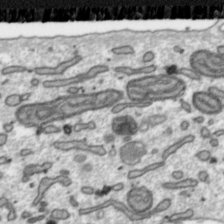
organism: Toxoplasma gondii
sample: Parasites in a vacuole inside a host cell